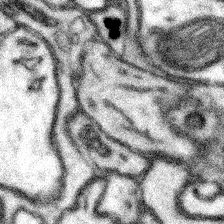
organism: Mouse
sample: Somatosensory cortex neuropil